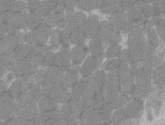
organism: C57BL Mouse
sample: Tibialis anterior muscle cell